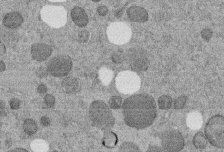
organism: C. elegans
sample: C. elegans embryo early stage